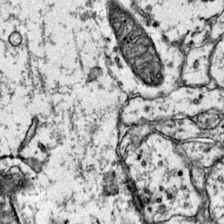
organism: Mouse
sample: Primary visual cortex